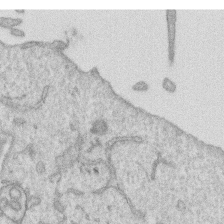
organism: Human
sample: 1205lu cells